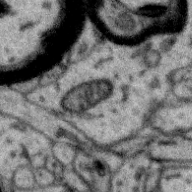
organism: Zebra finch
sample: Brain